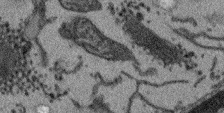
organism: Arabidopsis thaliana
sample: Root tip